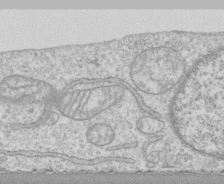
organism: Human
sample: CRL-1474